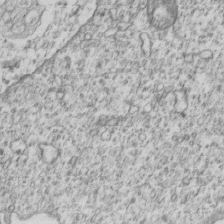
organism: Human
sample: MDA-MB-231 cells